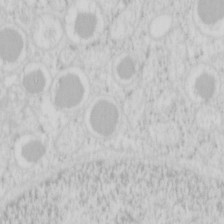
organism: Mouse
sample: Pancreas